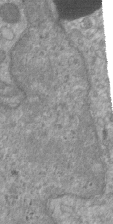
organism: Mouse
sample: ED-1 cell nuclei; centrioles